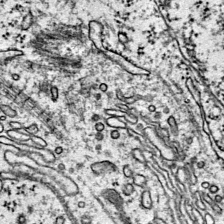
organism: Mouse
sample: Primary visual cortex